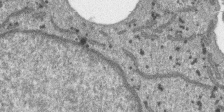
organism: Human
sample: Lung epithelial cells infected with SARS-CoV-2